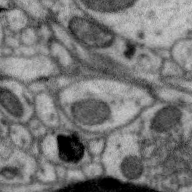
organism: Zebra finch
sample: Brain